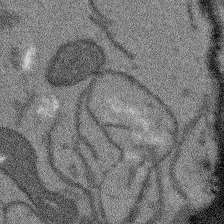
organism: Arabidopsis thaliana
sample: Root tip